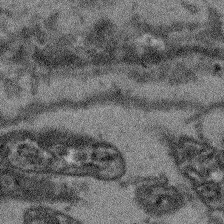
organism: Arabidopsis thaliana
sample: Root tip